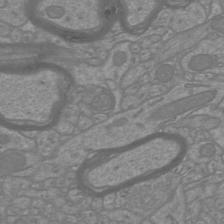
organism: Mouse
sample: Cortical neurons